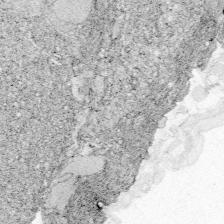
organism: Zebrafish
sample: Whole-Brain